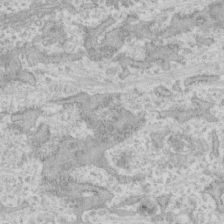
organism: Human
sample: CRL-1474